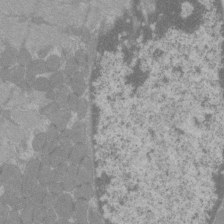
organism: C57BL Mouse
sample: Tibialis anterior muscle cell